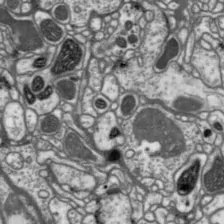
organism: Drosophila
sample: Protocerebral bridge